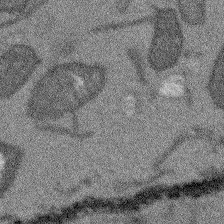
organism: Arabidopsis thaliana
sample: Root tip